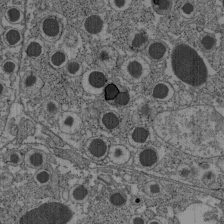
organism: C57BL Mouse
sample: Pancreatic islet